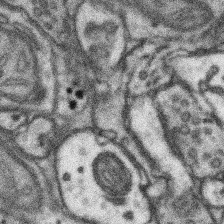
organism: Mouse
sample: Somatosensory cortex neuropil